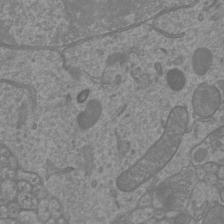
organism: Mouse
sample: Cortical neurons